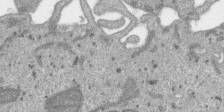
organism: Human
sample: Lung epithelial cells infected with SARS-CoV-2